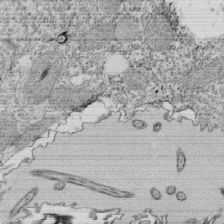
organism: Tetrahymena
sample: Cilia in tetrahymena